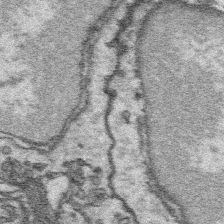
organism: Platynereis dumerilii